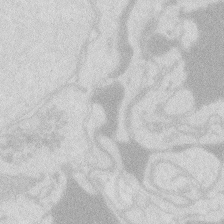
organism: Zebrafish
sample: Macrophage